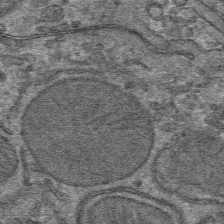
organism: Mouse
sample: Mouse hepatocytes